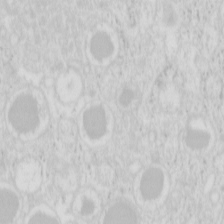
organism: Mouse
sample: Pancreas